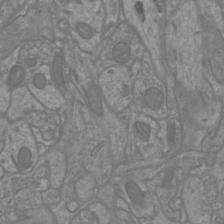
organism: Mouse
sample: Cortical neurons